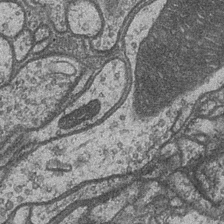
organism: Drosophila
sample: Optic medulla